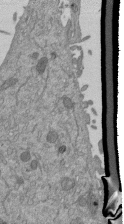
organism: Mouse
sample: ED-1 cell nuclei; centrioles